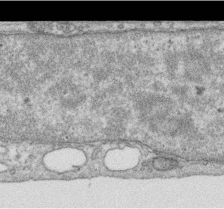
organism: Human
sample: Centriole in RPE cells